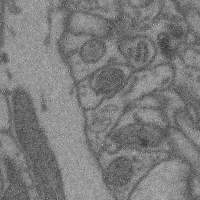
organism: Mouse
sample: Cerebral cortex